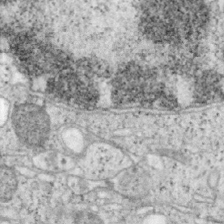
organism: Mouse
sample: OT-I killer T cells with ID8 ovarian cancer cells